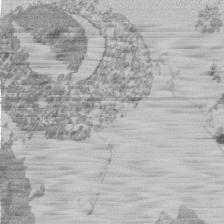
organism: Mouse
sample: Activated Pmel transgenic CD8+ T Cells